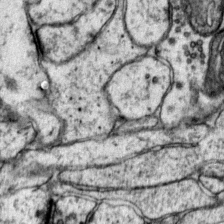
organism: Mouse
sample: Primary visual cortex